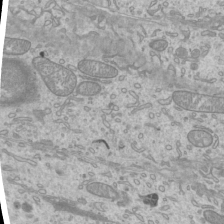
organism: Mouse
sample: Cilia; mouse epididymis